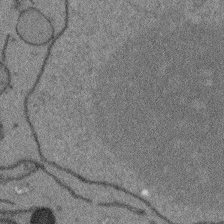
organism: Arabidopsis thaliana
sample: Root tip